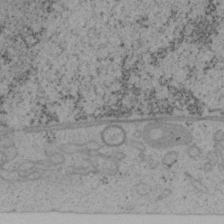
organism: Human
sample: HeLa cells